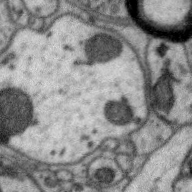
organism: Zebra finch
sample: Brain